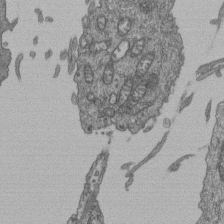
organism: Human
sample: Retinal organoid Rod and Cone cells